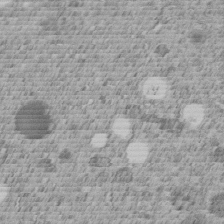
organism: C. elegans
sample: C. elegans embryo early stage